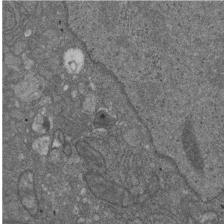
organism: Drosophila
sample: Nephrocyte